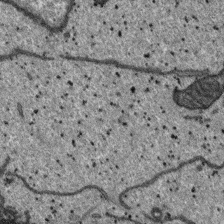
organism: Human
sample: Lung epithelial cells, uninfected (mock) control